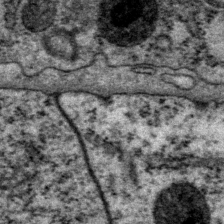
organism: P. pacificus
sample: Pharynx